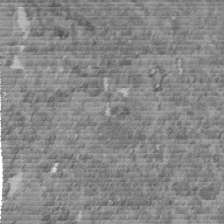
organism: C. elegans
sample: C. elegans embryo early stage